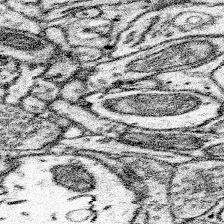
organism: Mouse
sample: Somatosensory cortex neuropil